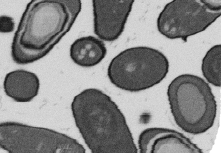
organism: B. subtilis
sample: Bacterial spore